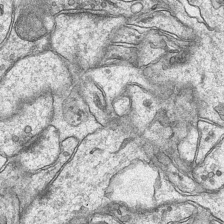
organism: Mouse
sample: CA1 Hippocampus